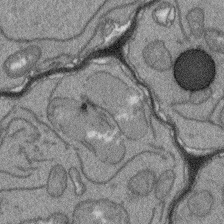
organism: Arabidopsis thaliana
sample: Root tip